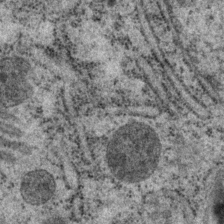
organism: P. pacificus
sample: Pharynx